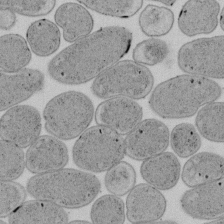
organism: E. coli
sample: Bacterial nucleoid